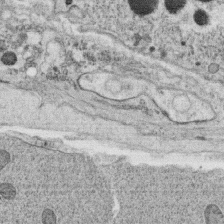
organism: C. elegans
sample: C. elegans oocyte; sperm cells